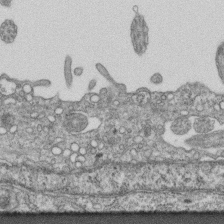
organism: Mouse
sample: Centriole in ependymal cells